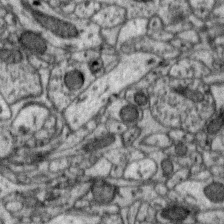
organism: Zebra finch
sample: Brain